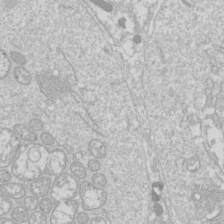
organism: Drosophila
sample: Cell division; meiosis; drosophila spermatocytes